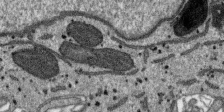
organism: Human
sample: Lung epithelial cells, uninfected (mock) control